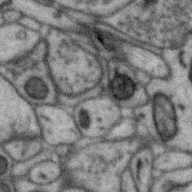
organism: Zebra finch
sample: Brain